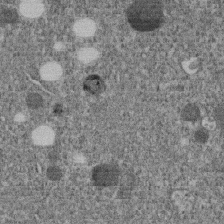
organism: C. elegans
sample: C. elegans embryo early stage